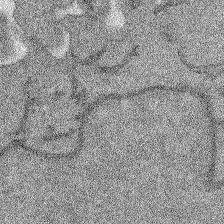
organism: Human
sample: HeLa cells